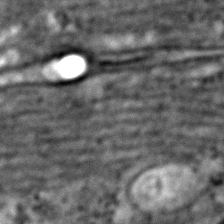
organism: Zebrafish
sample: Zebrafish embryo